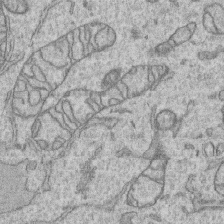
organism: Human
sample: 1205lu cells